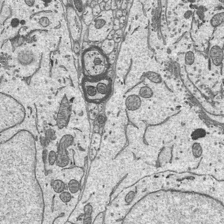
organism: Mouse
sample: Suprachiasmatic nucleus